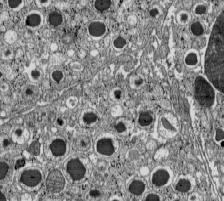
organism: C57BL Mouse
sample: Pancreatic islet